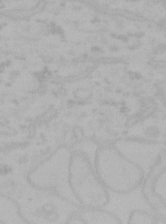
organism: Mouse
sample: Choroid plexus